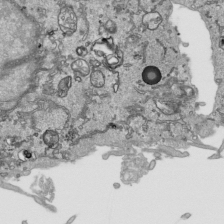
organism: Human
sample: Mitochondria in HCT116 cells